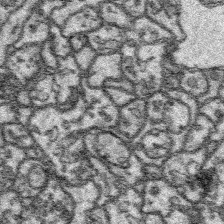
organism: Platynereis dumerilii